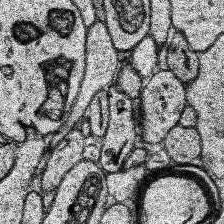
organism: Human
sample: Temporal Lobe